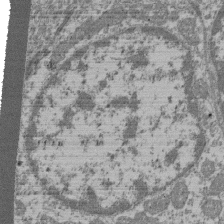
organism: Mouse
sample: Glomerulus